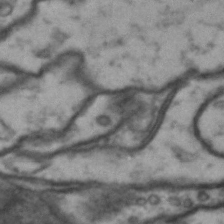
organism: Drosophila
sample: Brain